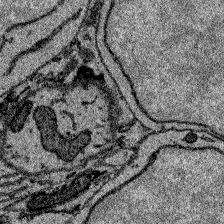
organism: Zebrafish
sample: Larval olfactory bulb